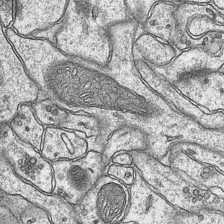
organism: Mouse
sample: CA1 Hippocampus